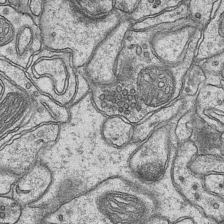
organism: Mouse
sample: CA1 Hippocampus